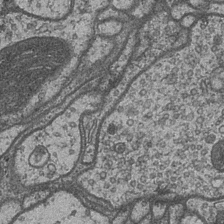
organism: Drosophila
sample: Optic medulla